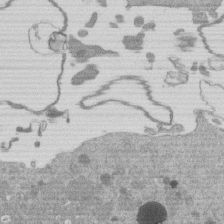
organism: Mouse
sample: Dividing mouse embryo 1 cell stage